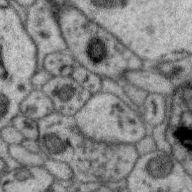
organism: Zebra finch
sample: Brain